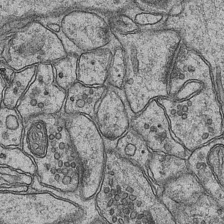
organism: Mouse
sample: CA1 Hippocampus